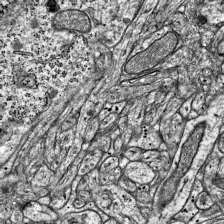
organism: Mouse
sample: Visual Cortex